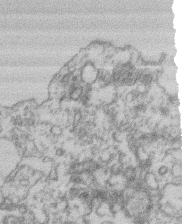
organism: Mouse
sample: T cell stromal cell synapse